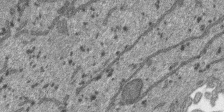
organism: Human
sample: Lung epithelial cells infected with SARS-CoV-2